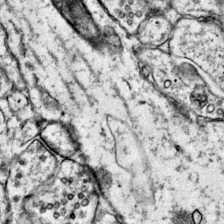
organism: Mouse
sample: Primary visual cortex